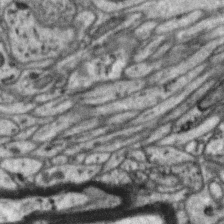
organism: Zebra finch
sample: Brain